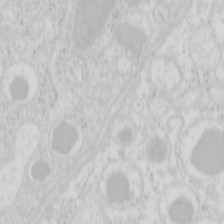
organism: Mouse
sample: Pancreas